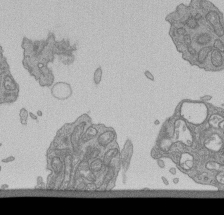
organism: Human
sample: Retinal organoid Rod and Cone cells